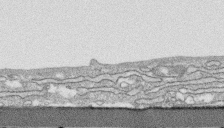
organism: Human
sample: CRL-1474